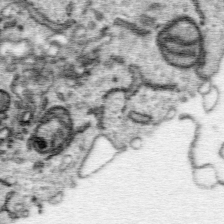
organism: Human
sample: HeLa cells